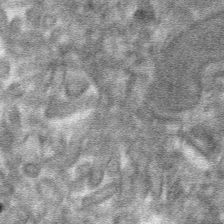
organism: Mouse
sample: Mouse hepatocytes